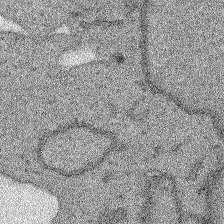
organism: Human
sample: HeLa cells